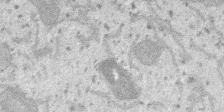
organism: Human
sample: Lung epithelial cells infected with SARS-CoV-2